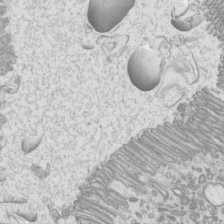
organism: Mouse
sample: Cilia; mouse epididymis